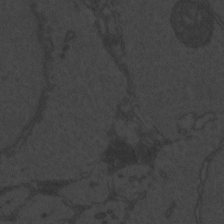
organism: Zebrafish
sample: Macrophage infected with Toxoplasma gondii